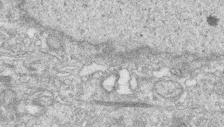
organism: Human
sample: HeLa cell HIV synapse